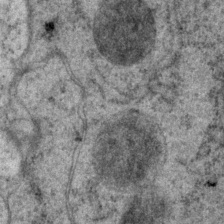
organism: P. pacificus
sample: Pharynx